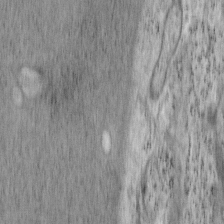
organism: Human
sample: HeLa cells